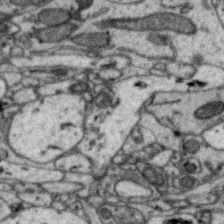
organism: Zebra finch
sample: Brain